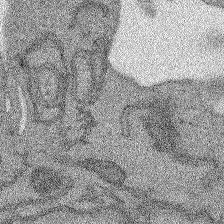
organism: Human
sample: HeLa cells